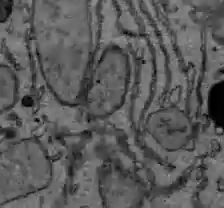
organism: C57BL Mouse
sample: Liver